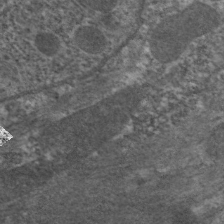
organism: C. elegans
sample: Pharynx